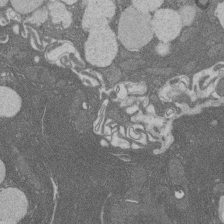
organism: Rat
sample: Salivary granule